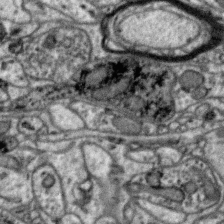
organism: Zebra finch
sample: Brain